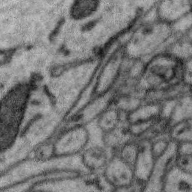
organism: Zebra finch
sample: Brain